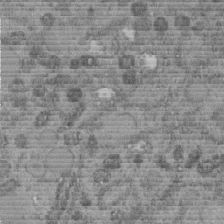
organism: C. elegans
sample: C. elegans embryo early stage